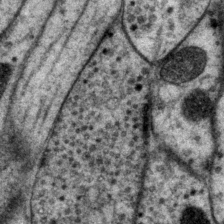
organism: P. pacificus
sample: Pharynx